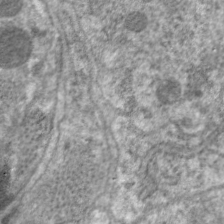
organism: C. elegans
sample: Pharynx